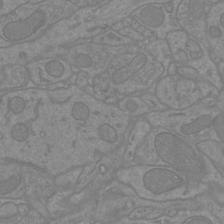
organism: Mouse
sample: Cortical neurons